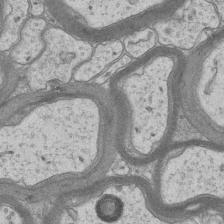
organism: Mouse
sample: CA1 Hippocampus